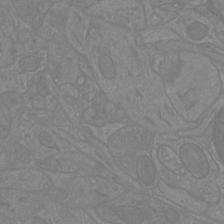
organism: Mouse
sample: Cortical neurons